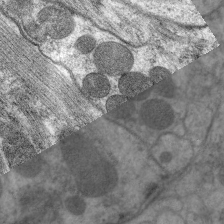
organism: C. elegans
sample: Pharynx